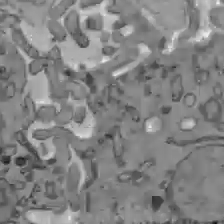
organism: C57BL Mouse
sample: Liver